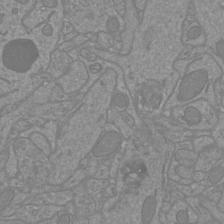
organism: Mouse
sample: Cortical neurons